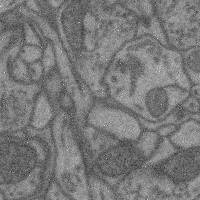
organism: Mouse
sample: Cerebral cortex